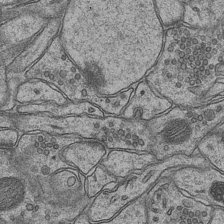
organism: Mouse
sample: CA1 Hippocampus